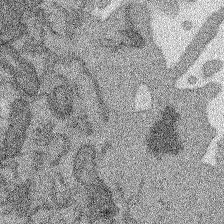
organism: Human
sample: HeLa cells